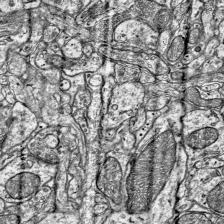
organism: Mouse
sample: Visual Cortex